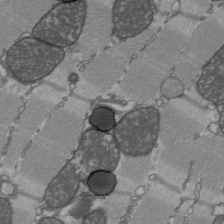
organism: C57BL Mouse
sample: Heart